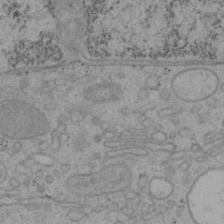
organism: Human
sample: HeLa cells